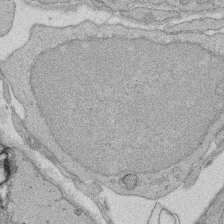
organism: Rat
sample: Salivary granule